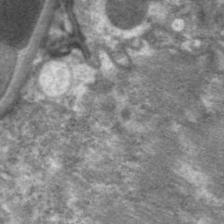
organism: C. elegans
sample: Pharynx